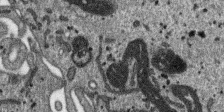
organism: Human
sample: Lung epithelial cells infected with SARS-CoV-2